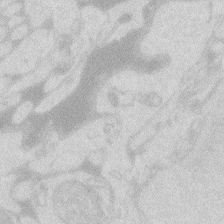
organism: Zebrafish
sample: Macrophage